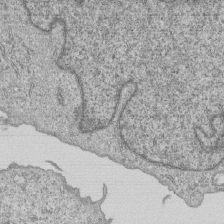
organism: Human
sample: MDA-MB-231 cells